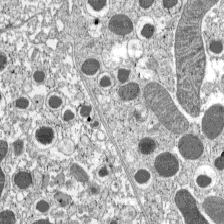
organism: C57BL Mouse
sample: Pancreatic islet